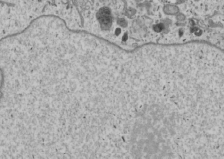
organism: Human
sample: Mitochondria in U2OS cells